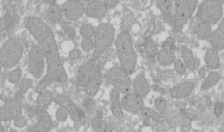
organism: Xenopus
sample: Cilia; centrioles in frog embryo cells